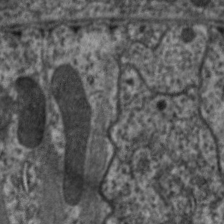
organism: C. elegans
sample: Pharynx